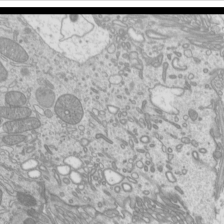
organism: Mouse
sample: Cilia; mouse epididymis